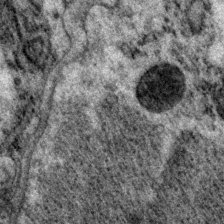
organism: P. pacificus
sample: Pharynx